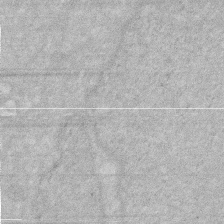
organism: Human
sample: HIV infected U937 cells